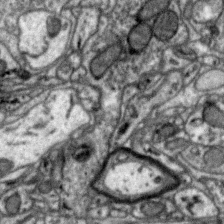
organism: Zebra finch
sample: Brain